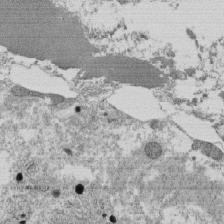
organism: Tetrahymena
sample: Cilia in tetrahymena